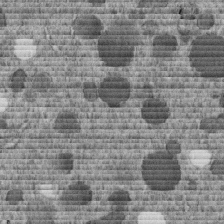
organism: C. elegans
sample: C. elegans embryo early stage